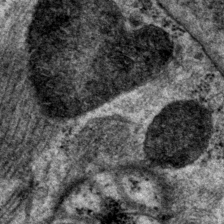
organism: P. pacificus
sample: Pharynx